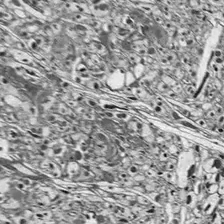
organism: Drosophila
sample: Optic lobe